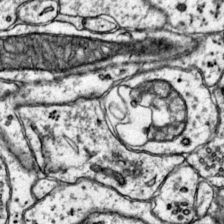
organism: Mouse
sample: Primary visual cortex